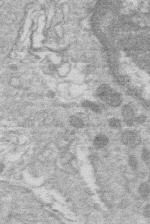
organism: Human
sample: Macrophage cells